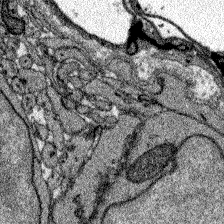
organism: Zebrafish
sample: Larval olfactory bulb